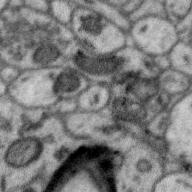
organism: Zebra finch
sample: Brain